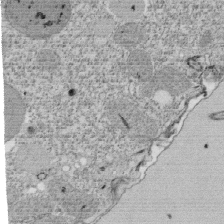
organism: Tetrahymena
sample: Cilia in tetrahymena